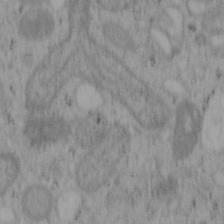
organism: Mouse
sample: OT-I killer T cells with ID8 ovarian cancer cells